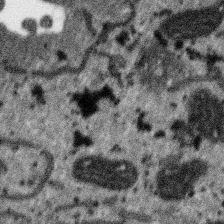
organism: Human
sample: Lung epithelial cells infected with SARS-CoV-2